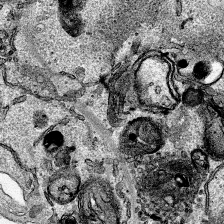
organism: Human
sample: Mitochondria in HCT116 cells